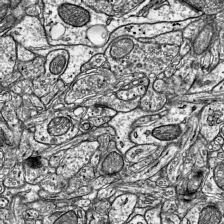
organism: Mouse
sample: Visual Cortex